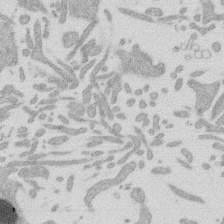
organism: Mouse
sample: Dividing mouse embryo 1 cell stage